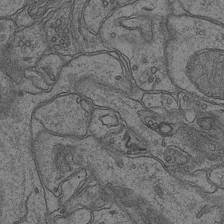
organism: Mouse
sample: CA1 Hippocampus